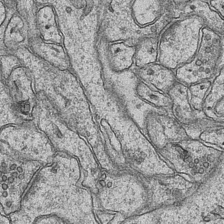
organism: Mouse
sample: CA1 Hippocampus